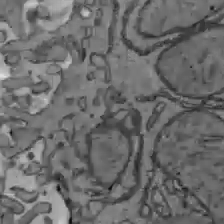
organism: C57BL Mouse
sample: Liver